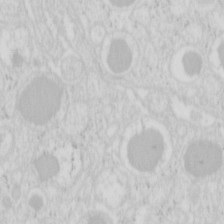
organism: Mouse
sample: Pancreas